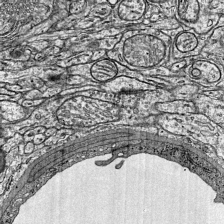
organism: Mouse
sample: Visual Cortex